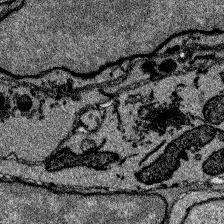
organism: Zebrafish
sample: Larval olfactory bulb